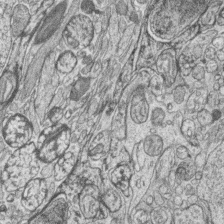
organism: Zebrafish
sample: synaptic ribbons in rod cells and cone cells